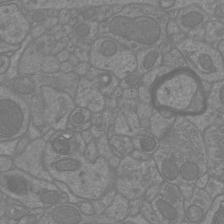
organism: Mouse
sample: Cortical neurons